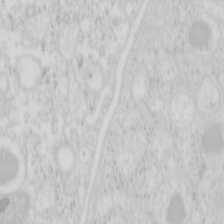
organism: Mouse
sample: Pancreas